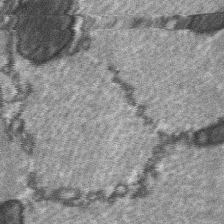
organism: C57BL Mouse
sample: Soleus